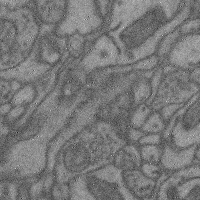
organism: Mouse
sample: Cerebral cortex